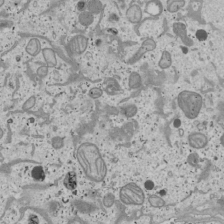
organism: Human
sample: Mitochondria in U2OS cells